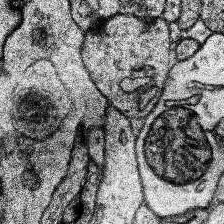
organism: Human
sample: Temporal Lobe